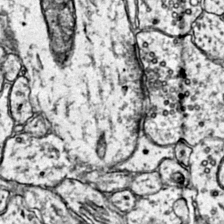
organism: Mouse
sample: Primary visual cortex